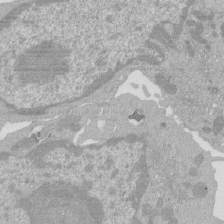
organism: Mouse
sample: Activated Pmel transgenic CD8+ T Cells